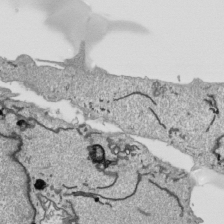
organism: Human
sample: Mitochondria in HCT116 cells